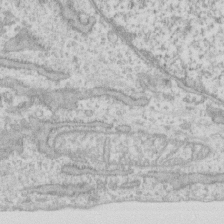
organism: Human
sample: Fibroblast cells